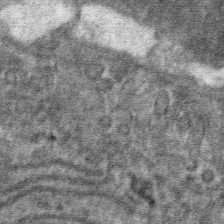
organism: Mouse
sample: Mouse hepatocytes